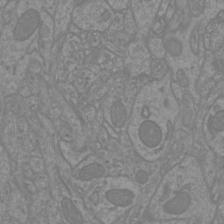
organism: Mouse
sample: Cortical neurons